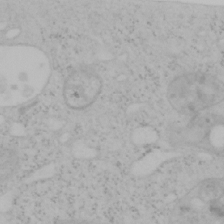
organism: Mouse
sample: OT-I killer T cells with ID8 ovarian cancer cells